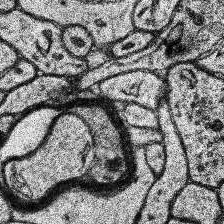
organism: Human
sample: Temporal Lobe